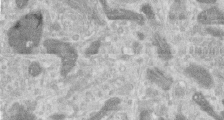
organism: Human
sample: Centriole in RPE cells